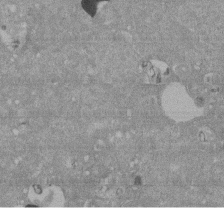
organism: Mouse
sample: ED-1 cell nuclei; centrioles